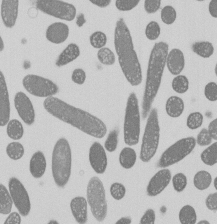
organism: E. coli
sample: Bacterial nucleoid